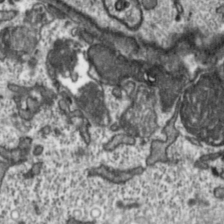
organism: Toxoplasma gondii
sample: Parasites in a vacuole inside a host cell